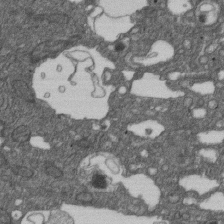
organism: Drosophila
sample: Nephrocyte